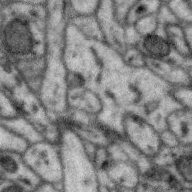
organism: Zebra finch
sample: Brain